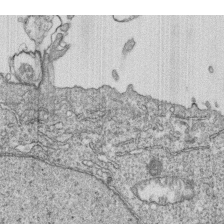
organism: Human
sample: HeLa cell HIV synapse